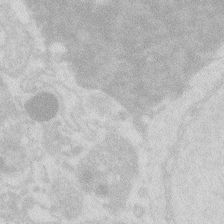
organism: Zebrafish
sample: Macrophage